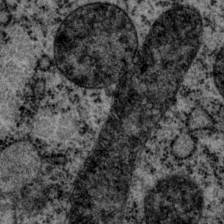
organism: P. pacificus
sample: Pharynx